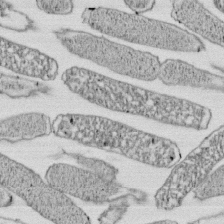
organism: E. coli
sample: Bacterial nucleoid